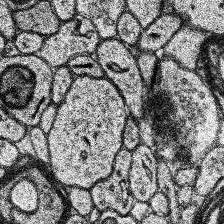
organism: Human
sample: Temporal Lobe